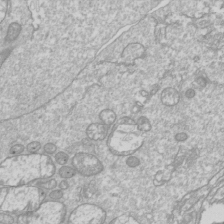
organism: Drosophila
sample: Cell division; meiosis; drosophila spermatocytes